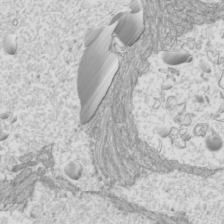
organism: Mouse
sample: Cilia; mouse epididymis